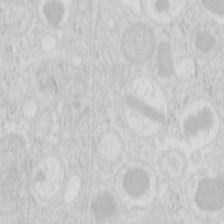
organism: Mouse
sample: Pancreas